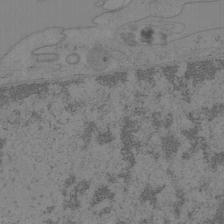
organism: Human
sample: HeLa cells